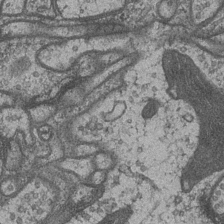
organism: Drosophila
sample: Optic medulla